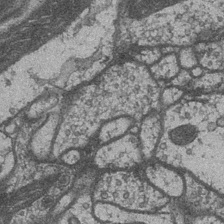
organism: Drosophila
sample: Optic medulla